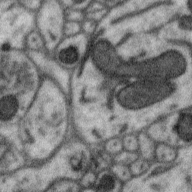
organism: Zebra finch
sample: Brain